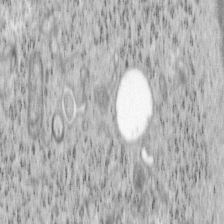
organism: Human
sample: HeLa cells